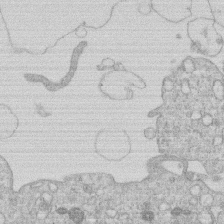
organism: Human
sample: Macrophage cells